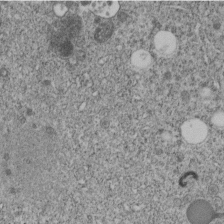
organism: C. elegans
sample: C. elegans embryo early stage